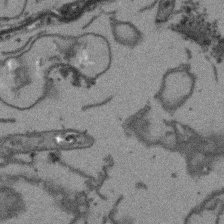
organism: Arabidopsis thaliana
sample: Root tip